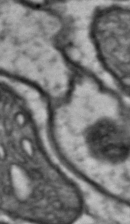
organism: Drosophila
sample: Brain